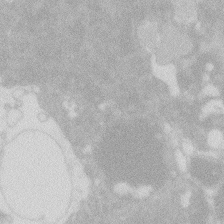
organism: Zebrafish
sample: Macrophage